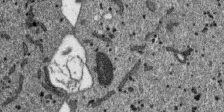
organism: Human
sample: Lung epithelial cells infected with SARS-CoV-2